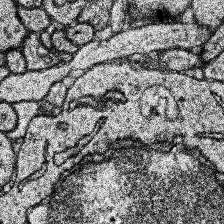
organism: Human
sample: Temporal Lobe